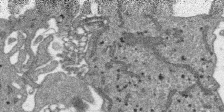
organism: Human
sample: Lung epithelial cells infected with SARS-CoV-2